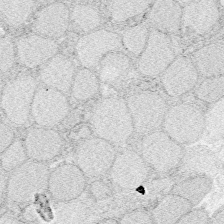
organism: Zebrafish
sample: Whole-Brain